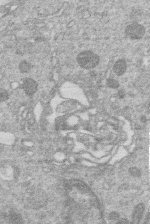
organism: Human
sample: Macrophage cells